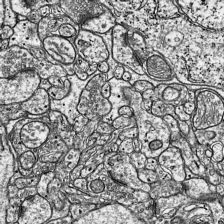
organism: Mouse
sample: Visual Cortex